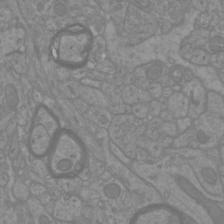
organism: Mouse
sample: Cortical neurons